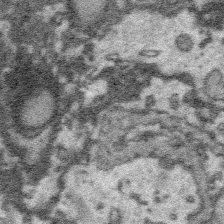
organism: Platynereis dumerilii